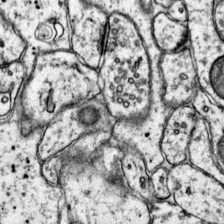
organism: Mouse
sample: Primary visual cortex